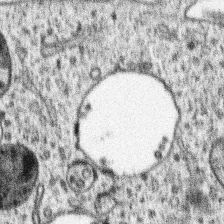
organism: Human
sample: HeLa cells